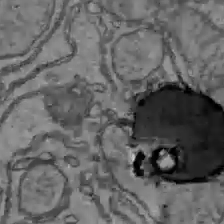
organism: C57BL Mouse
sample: Liver